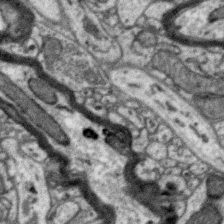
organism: Zebra finch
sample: Brain